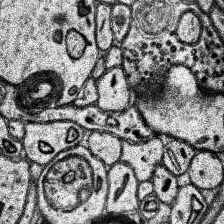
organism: Human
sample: Temporal Lobe